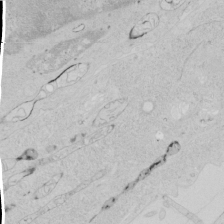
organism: Human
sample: Mitochondria in HCT116 cells